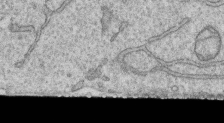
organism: Human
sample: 1205lu cells